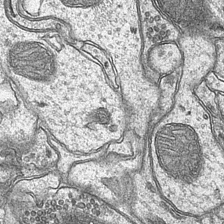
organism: Mouse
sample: CA1 Hippocampus